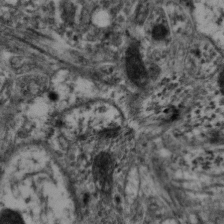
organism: Mouse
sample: Neocortex